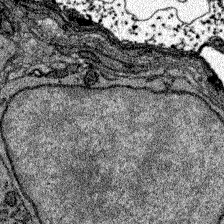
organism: Zebrafish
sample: Larval olfactory bulb